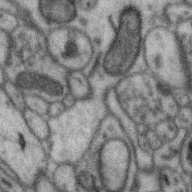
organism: Zebra finch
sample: Brain